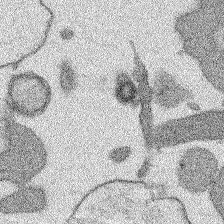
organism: Human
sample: HeLa cells